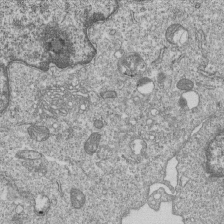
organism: Human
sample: MDA-MB-231 cells